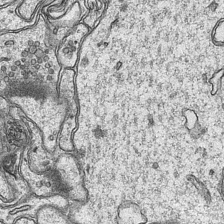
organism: Mouse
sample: CA1 Hippocampus